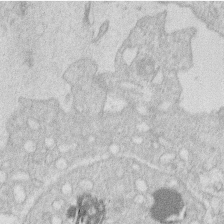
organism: Human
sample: Macrophage cells